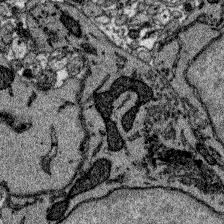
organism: Zebrafish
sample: Larval olfactory bulb